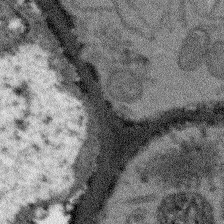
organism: Arabidopsis thaliana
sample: Root tip